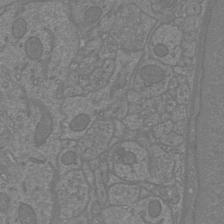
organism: Mouse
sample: Cortical neurons